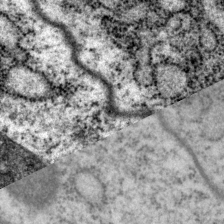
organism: P. pacificus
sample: Pharynx